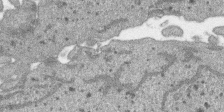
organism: Human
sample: Lung epithelial cells infected with SARS-CoV-2